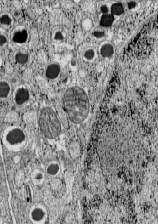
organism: C57BL Mouse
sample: Pancreatic islet